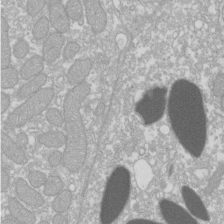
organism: Xenopus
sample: Cilia; centrioles in frog embryo cells